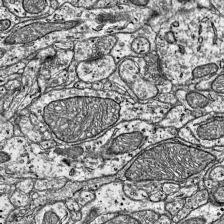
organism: Mouse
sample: Visual Cortex